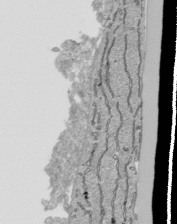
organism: Human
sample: Mitochondria in HCT116 cells